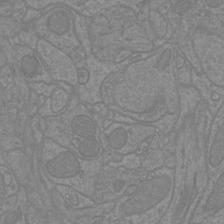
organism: Mouse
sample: Cortical neurons